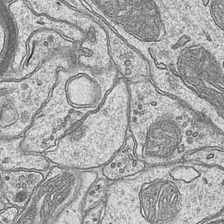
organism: Mouse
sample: CA1 Hippocampus